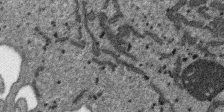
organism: Human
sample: Lung epithelial cells infected with SARS-CoV-2